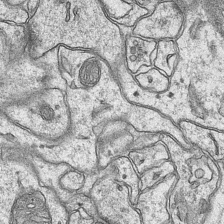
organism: Mouse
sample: CA1 Hippocampus